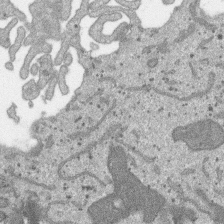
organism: Human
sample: Lung epithelial cells infected with SARS-CoV-2